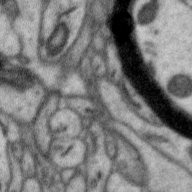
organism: Zebra finch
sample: Brain